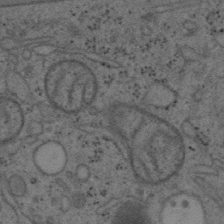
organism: Human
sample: HeLa cells